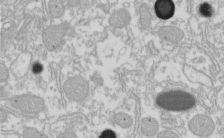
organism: Xenopus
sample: Cilia; centrioles in frog embryo cells